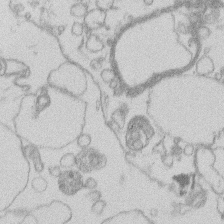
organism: Human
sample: Macrophage cells